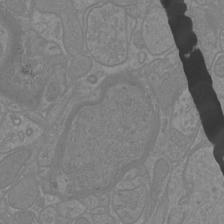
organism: Mouse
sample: Cortical neurons